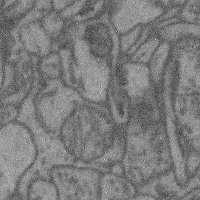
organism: Mouse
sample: Cerebral cortex